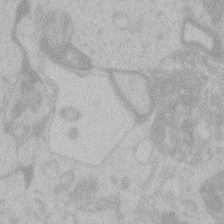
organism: Zebrafish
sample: Macrophage infected with Toxoplasma gondii